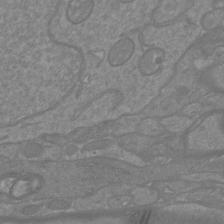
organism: Mouse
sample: Cortical neurons